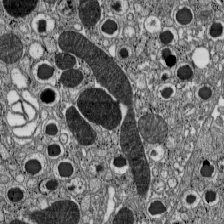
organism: C57BL Mouse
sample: Pancreatic islet